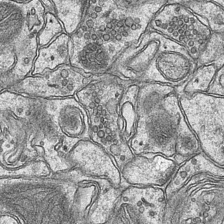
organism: Mouse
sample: CA1 Hippocampus